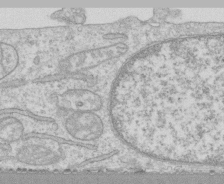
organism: Human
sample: CRL-1474